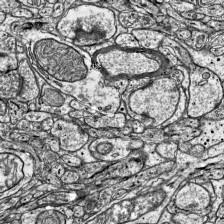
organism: Mouse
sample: Visual Cortex